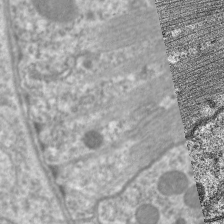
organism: C. elegans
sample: Pharynx